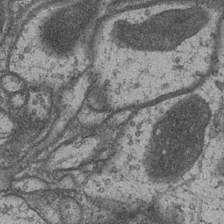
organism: Drosophila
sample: Optic medulla